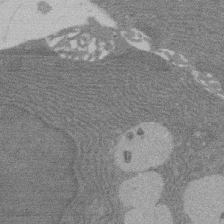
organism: Rat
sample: Salivary granule